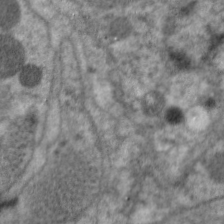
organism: C. elegans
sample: Pharynx